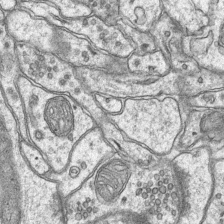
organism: Mouse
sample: CA1 Hippocampus